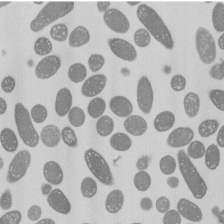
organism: E. coli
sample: Bacterial nucleoid